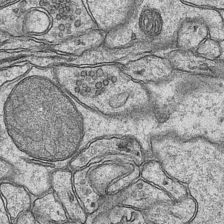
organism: Mouse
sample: CA1 Hippocampus